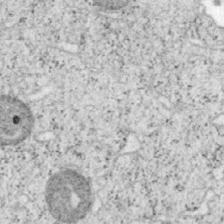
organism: Mouse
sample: OT-I killer T cells with ID8 ovarian cancer cells